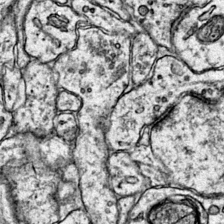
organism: Mouse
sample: Primary visual cortex